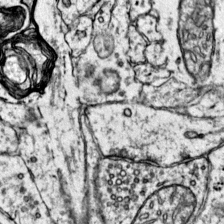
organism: Mouse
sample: Primary visual cortex